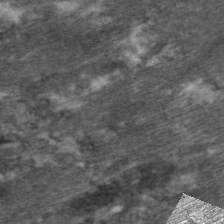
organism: C. elegans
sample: Pharynx